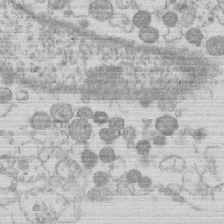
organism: Human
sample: Macrophage cells